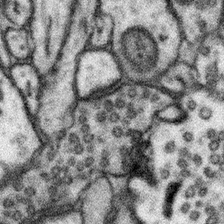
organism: Mouse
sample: Somatosensory cortex neuropil